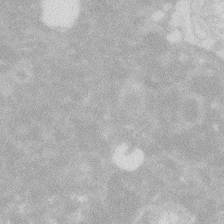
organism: Zebrafish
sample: Macrophage